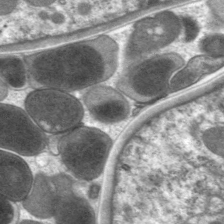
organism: C. elegans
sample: Pharynx